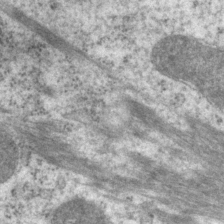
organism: P. pacificus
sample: Pharynx